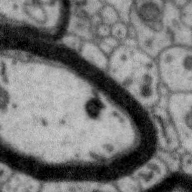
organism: Zebra finch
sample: Brain